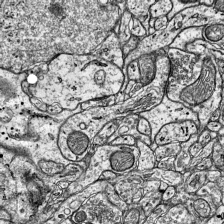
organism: Mouse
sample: Visual Cortex